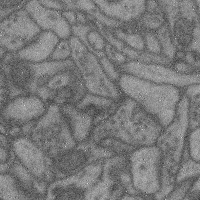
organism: Mouse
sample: Cerebral cortex